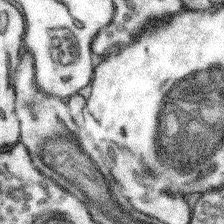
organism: Mouse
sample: Somatosensory cortex neuropil